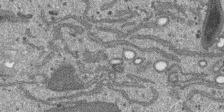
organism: Human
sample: Lung epithelial cells infected with SARS-CoV-2